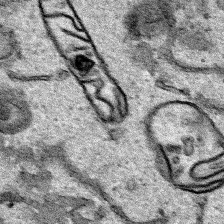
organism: Human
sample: Mitochondria in HCT116 cells